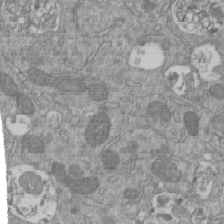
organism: Mouse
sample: ED-1 cell nuclei; centrioles